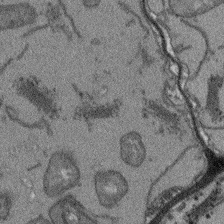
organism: Arabidopsis thaliana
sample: Root tip